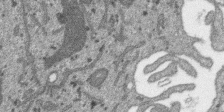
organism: Human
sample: Lung epithelial cells infected with SARS-CoV-2